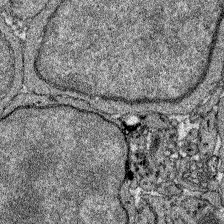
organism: Zebrafish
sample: Larval olfactory bulb